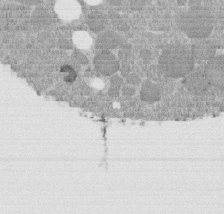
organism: C. elegans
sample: C. elegans embryo early stage